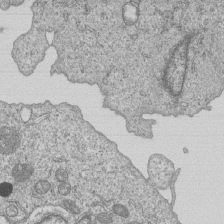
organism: Human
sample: MDA-MB-231 cells